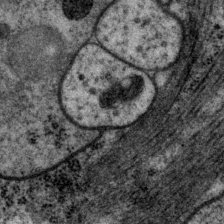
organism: P. pacificus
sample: Pharynx